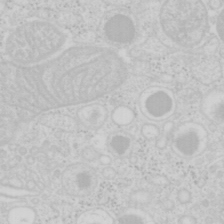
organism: Mouse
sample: Pancreas